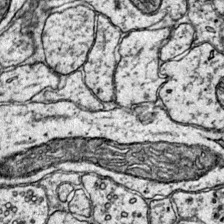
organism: Mouse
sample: Primary visual cortex